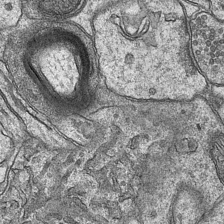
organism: Mouse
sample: CA1 Hippocampus